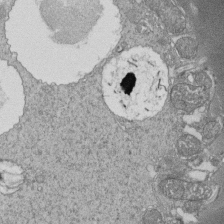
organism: Tetrahymena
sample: Cilia in tetrahymena